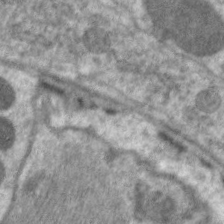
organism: C. elegans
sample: Pharynx